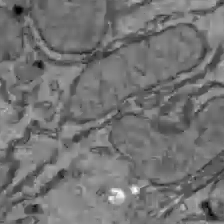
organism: C57BL Mouse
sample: Liver